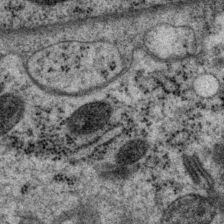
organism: P. pacificus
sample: Pharynx